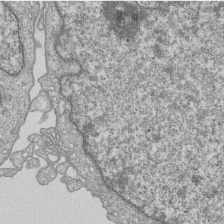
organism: Human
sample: MDA-MB-231 cells